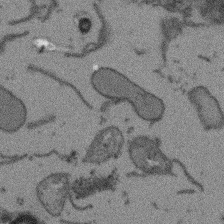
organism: Arabidopsis thaliana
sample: Root tip